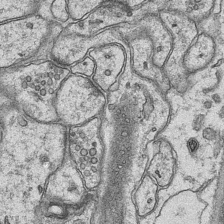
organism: Mouse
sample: CA1 Hippocampus